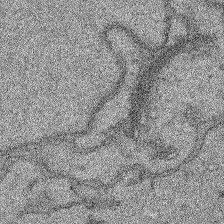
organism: Human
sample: HeLa cells